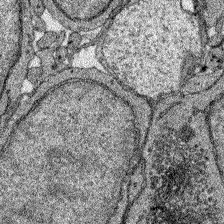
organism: Zebrafish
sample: Larval olfactory bulb